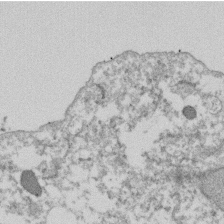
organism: Dictyostelium discoideum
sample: Dictyostelium multivesicular bodies